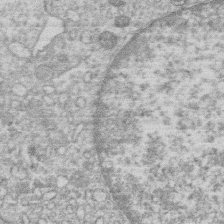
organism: Human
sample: Macrophage cells